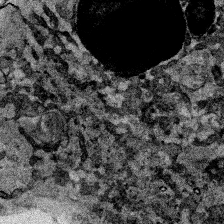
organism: Human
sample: Mitochondria in HCT116 cells